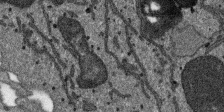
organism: Human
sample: Lung epithelial cells infected with SARS-CoV-2